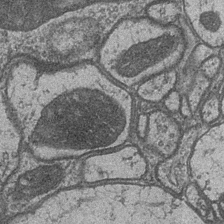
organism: Drosophila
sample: Optic medulla